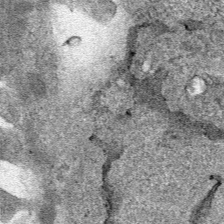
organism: Human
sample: Mitochondria in HCT116 cells